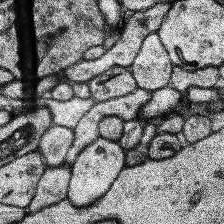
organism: Human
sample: Temporal Lobe